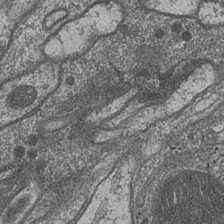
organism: Drosophila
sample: Optic medulla